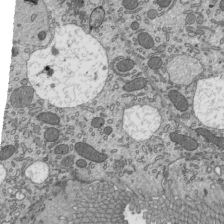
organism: Mouse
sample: Mouse epididymis efferent ductule cilia